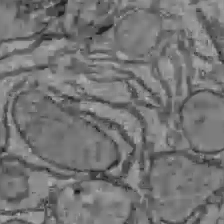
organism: C57BL Mouse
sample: Liver